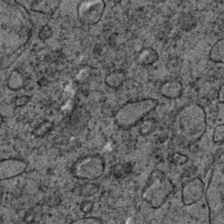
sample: Trachea